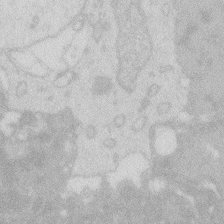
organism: Zebrafish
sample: Macrophage